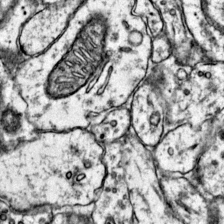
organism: Mouse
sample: Primary visual cortex